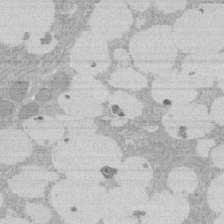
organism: Rat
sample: Salivary granule